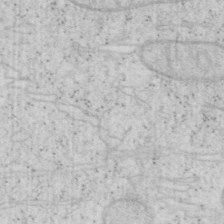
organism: Human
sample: HeLa cells